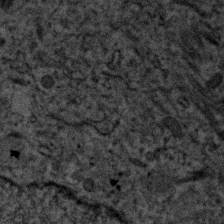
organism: Human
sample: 1205lu cells